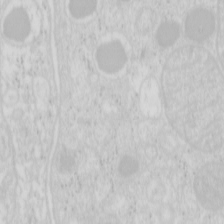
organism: Mouse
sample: Pancreas